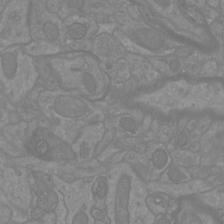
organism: Mouse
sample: Cortical neurons